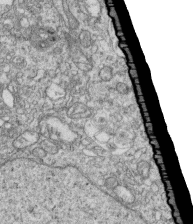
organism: Human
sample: HeLa cell HIV synapse